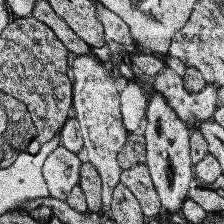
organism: Human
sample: Temporal Lobe